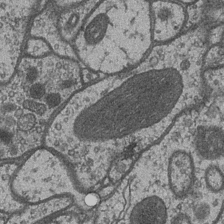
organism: Drosophila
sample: Optic medulla